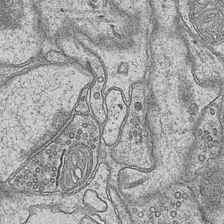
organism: Mouse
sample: CA1 Hippocampus